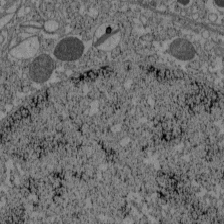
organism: C57BL Mouse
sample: Pancreatic islet